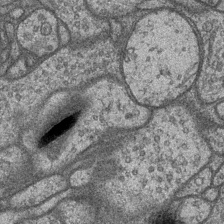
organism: Drosophila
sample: Optic medulla